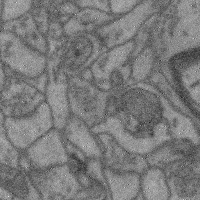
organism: Mouse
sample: Cerebral cortex